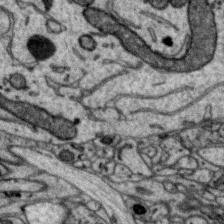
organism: Zebra finch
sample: Brain